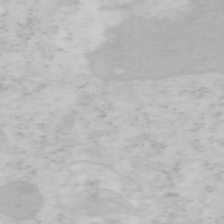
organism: Mouse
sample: OT-I killer T cells with ID8 ovarian cancer cells